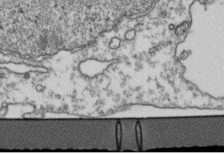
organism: Human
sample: Activated Jurkat CD4+ T cells